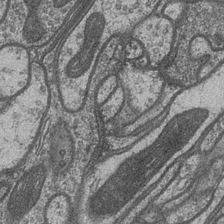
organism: Drosophila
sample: Optic medulla